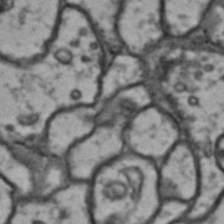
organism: Drosophila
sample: Brain